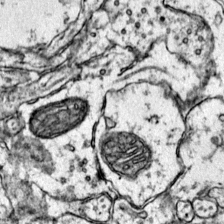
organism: Mouse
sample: Primary visual cortex